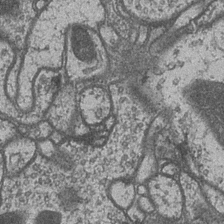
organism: Drosophila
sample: Optic medulla